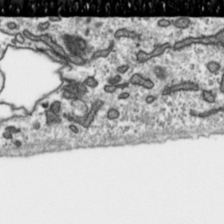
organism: Toxoplasma gondii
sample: Parasites in a vacuole inside a host cell